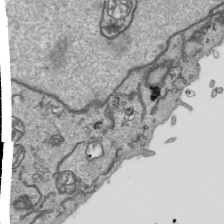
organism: Human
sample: Mitochondria in HCT116 cells